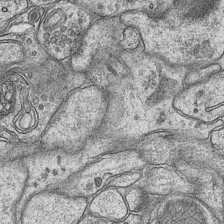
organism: Mouse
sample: CA1 Hippocampus